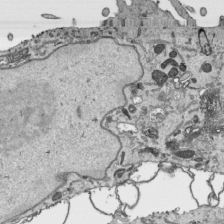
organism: Human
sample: Mitochondria in HCT116 cells